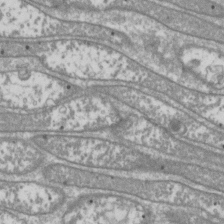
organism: Drosophila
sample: Cell division; meiosis; drosophila spermatocytes